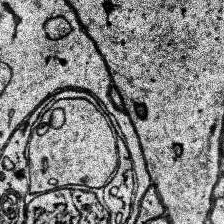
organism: Human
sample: Temporal Lobe